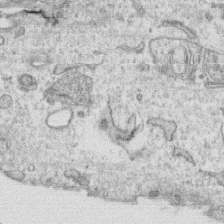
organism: Human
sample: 1205lu cells